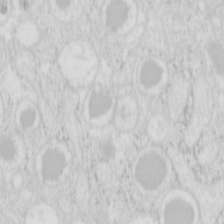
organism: Mouse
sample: Pancreas